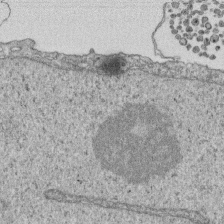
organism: Human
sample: HeLa cell HIV synapse